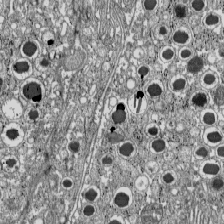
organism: C57BL Mouse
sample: Pancreatic islet